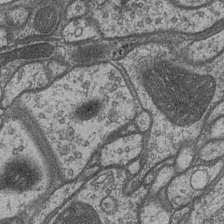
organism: Drosophila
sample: Optic medulla